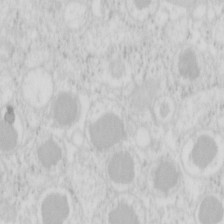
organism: Mouse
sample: Pancreas